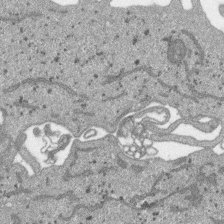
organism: Human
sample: Lung epithelial cells infected with SARS-CoV-2